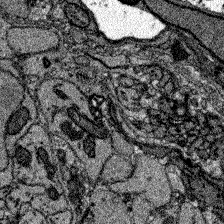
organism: Zebrafish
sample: Larval olfactory bulb